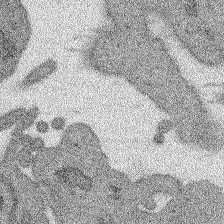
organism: Human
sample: HeLa cells